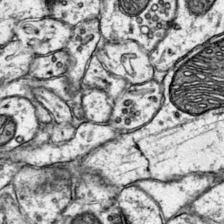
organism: Mouse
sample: Primary visual cortex